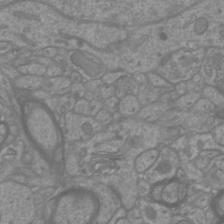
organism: Mouse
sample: Cortical neurons